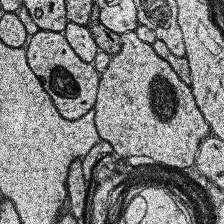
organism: Human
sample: Temporal Lobe